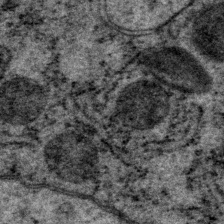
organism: P. pacificus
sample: Pharynx